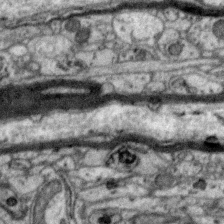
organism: Zebra finch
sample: Brain